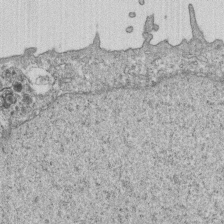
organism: Human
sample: HeLa cell HIV synapse